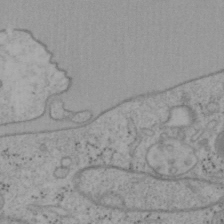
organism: Human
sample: HeLa cells